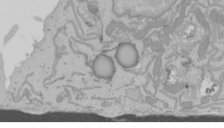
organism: Mouse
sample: Cancer cell death in ED-1 cells